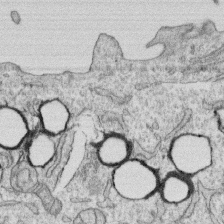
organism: Human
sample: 1205lu cells